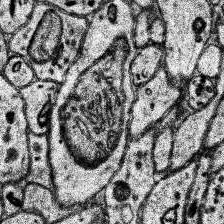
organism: Human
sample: Temporal Lobe